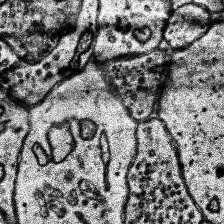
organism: Human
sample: Temporal Lobe